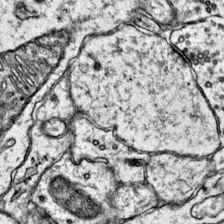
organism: Mouse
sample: Primary visual cortex